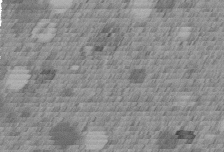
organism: C. elegans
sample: C. elegans embryo early stage